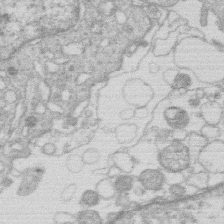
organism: Human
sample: Macrophage cells